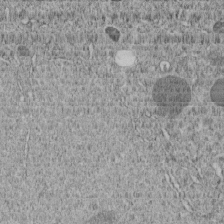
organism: C. elegans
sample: C. elegans embryo early stage